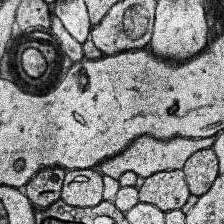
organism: Human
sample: Temporal Lobe